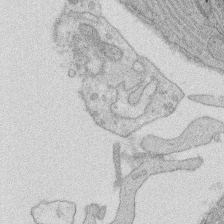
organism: Rat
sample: Salivary granule